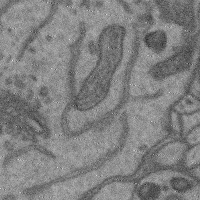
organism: Mouse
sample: Cerebral cortex